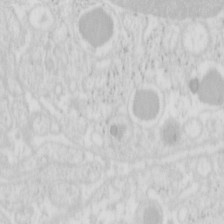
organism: Mouse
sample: Pancreas